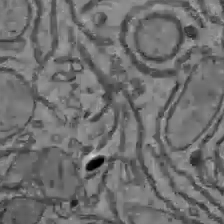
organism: C57BL Mouse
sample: Liver